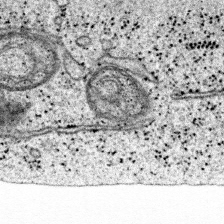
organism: Human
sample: HeLa cells